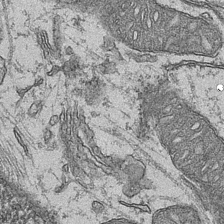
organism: Mouse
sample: CA1 Hippocampus